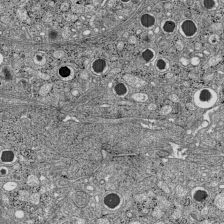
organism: C57BL Mouse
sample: Pancreatic islet